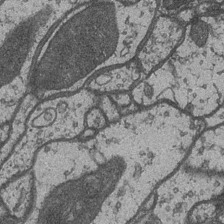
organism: Drosophila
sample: Optic medulla